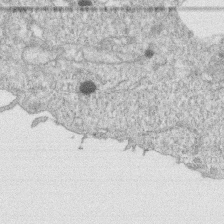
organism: Human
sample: HeLa cell HIV synapse